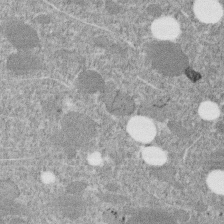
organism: C. elegans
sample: C. elegans embryo early stage